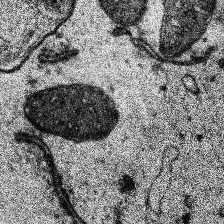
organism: Human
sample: Temporal Lobe